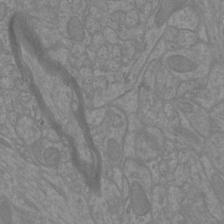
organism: Mouse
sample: Cortical neurons